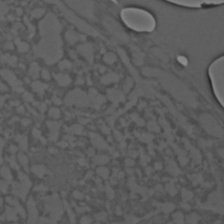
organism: C. elegans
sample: C. elegans embryo